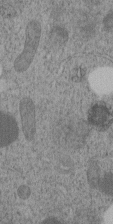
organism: C. elegans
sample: C. elegans embryo early stage